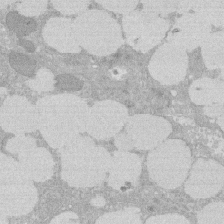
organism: Rat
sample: Salivary granule